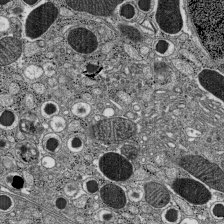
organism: C57BL Mouse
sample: Pancreatic islet